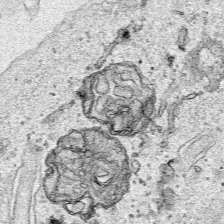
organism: Human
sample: Mitochondria in HCT116 cells